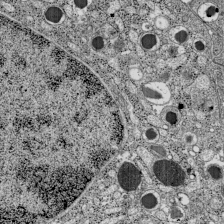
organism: C57BL Mouse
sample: Pancreatic islet